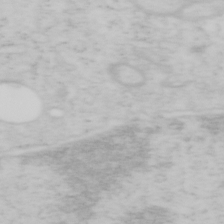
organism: Mouse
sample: OT-I killer T cells with ID8 ovarian cancer cells